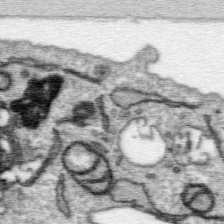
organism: Human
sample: HeLa cells